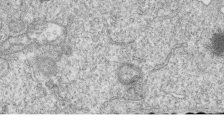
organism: Human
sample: HeLa cell HIV synapse